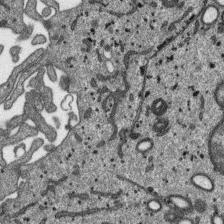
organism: Human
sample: Lung epithelial cells infected with SARS-CoV-2